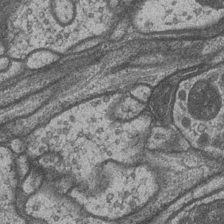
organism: Drosophila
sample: Optic medulla